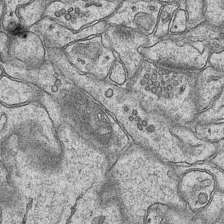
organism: Mouse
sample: CA1 Hippocampus